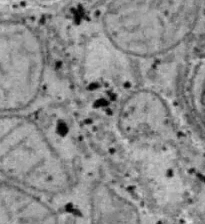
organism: Mouse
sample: Liver from an obese (ob/ob) mouse